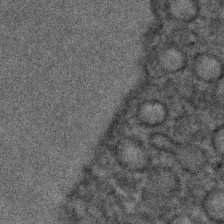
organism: C. elegans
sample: C. elegans embryo